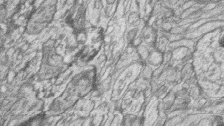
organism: Zebrafish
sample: synaptic ribbons in rod cells and cone cells